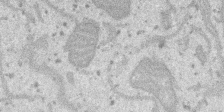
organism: Human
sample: Lung epithelial cells infected with SARS-CoV-2